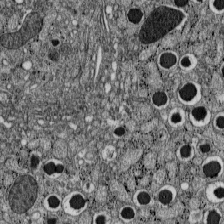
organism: C57BL Mouse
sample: Pancreatic islet